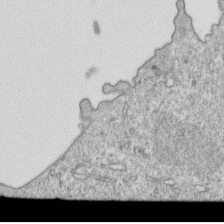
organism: Mouse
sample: Activated OT-1 CD8+ T cells